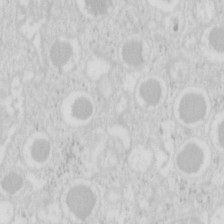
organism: Mouse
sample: Pancreas